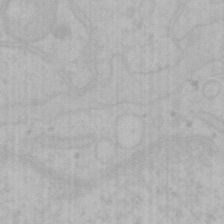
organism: Mouse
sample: Choroid plexus